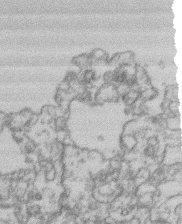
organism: Mouse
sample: T cell stromal cell synapse